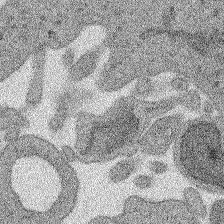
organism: Human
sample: HeLa cells